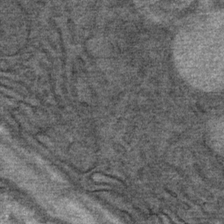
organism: Mouse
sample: Mouse Salivary gland